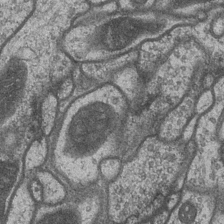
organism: Drosophila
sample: Optic medulla